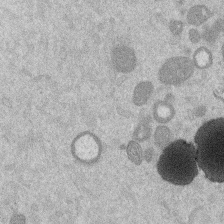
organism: Mouse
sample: Dividing mouse embryo 1 cell stage